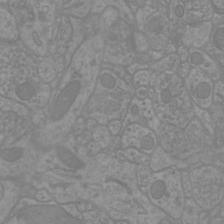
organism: Mouse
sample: Cortical neurons